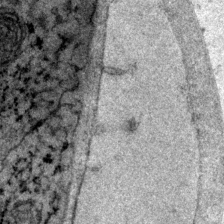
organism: P. pacificus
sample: Pharynx